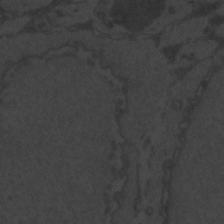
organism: Zebrafish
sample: Macrophage infected with Toxoplasma gondii